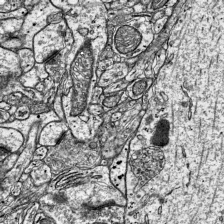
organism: Mouse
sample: Visual Cortex